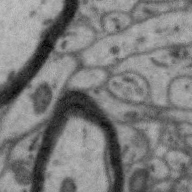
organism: Zebra finch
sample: Brain